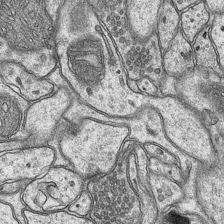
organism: Mouse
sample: CA1 Hippocampus